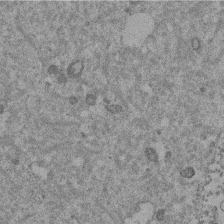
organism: Mouse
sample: Dividing mouse embryo 1 cell stage